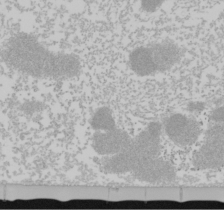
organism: Mouse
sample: Cancer cell death in ED-1 cells